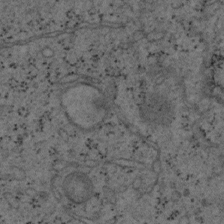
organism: Human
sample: HeLa cells